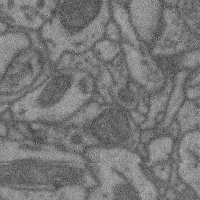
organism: Mouse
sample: Cerebral cortex